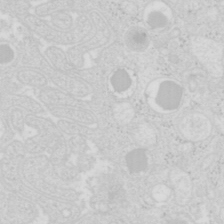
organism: Mouse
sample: Pancreas